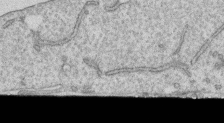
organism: Human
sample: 1205lu cells